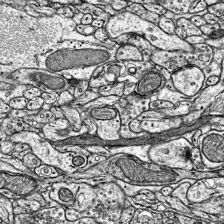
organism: Mouse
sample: Visual Cortex